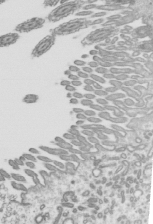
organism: Mouse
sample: Mouse epididymis efferent ductule cilia